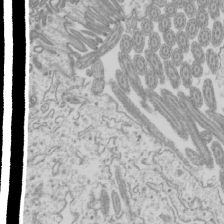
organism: Mouse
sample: Cilia; mouse epididymis